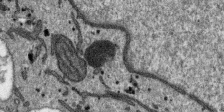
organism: Human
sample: Lung epithelial cells, uninfected (mock) control